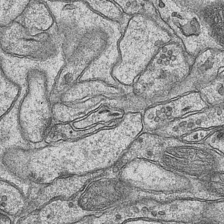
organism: Mouse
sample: CA1 Hippocampus